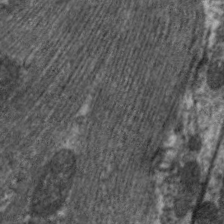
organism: C. elegans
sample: Pharynx